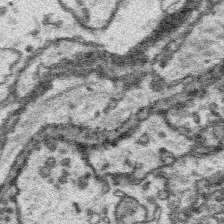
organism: Platynereis dumerilii